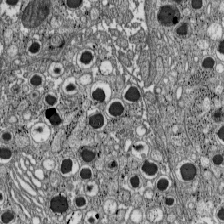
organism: C57BL Mouse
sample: Pancreatic islet